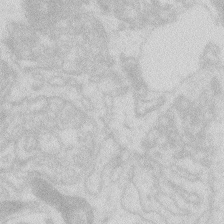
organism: Zebrafish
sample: Macrophage